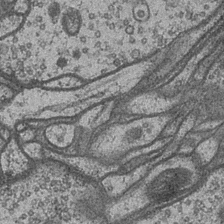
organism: Drosophila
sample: Optic medulla